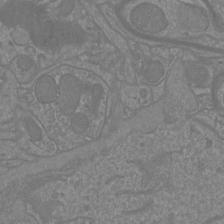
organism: Mouse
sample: Cortical neurons